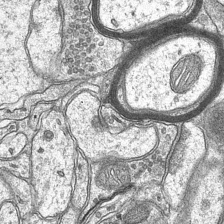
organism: Mouse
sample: CA1 Hippocampus